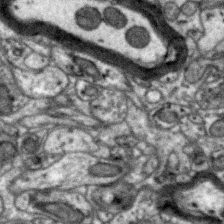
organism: Zebra finch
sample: Brain